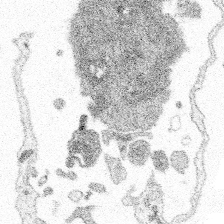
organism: Spongilla lacustris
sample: Multiple